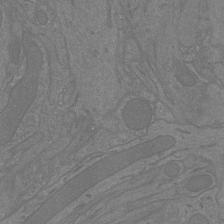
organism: Mouse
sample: Cortical neurons